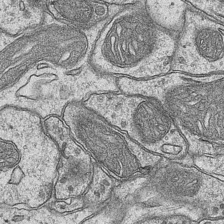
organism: Mouse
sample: CA1 Hippocampus